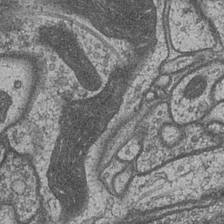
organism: Drosophila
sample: Optic medulla